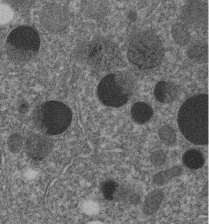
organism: C. elegans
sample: C. elegans embryo early stage